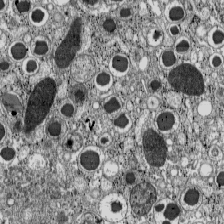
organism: C57BL Mouse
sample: Pancreatic islet